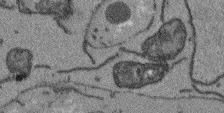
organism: Arabidopsis thaliana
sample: Root tip